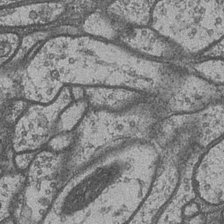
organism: Drosophila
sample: Optic medulla